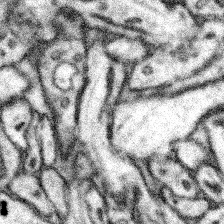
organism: Mouse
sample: Somatosensory cortex neuropil